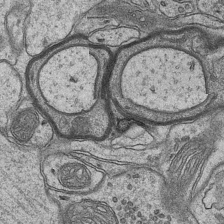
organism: Mouse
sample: CA1 Hippocampus